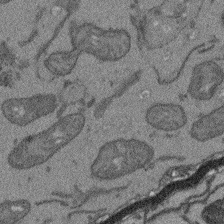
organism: Arabidopsis thaliana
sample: Root tip